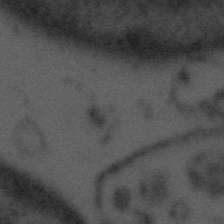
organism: Tuwongella immobilis